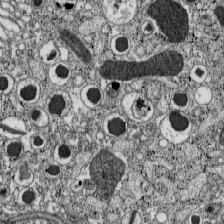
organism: C57BL Mouse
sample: Pancreatic islet